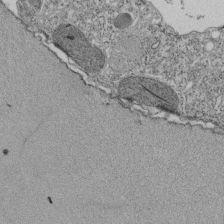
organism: Tetrahymena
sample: Cilia in tetrahymena